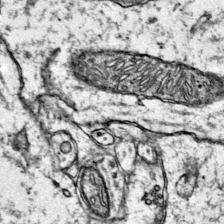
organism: Mouse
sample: Primary visual cortex